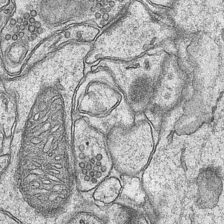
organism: Mouse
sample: CA1 Hippocampus